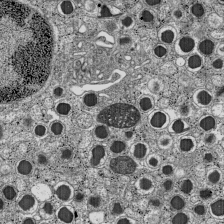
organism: C57BL Mouse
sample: Pancreatic islet